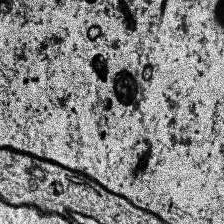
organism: Human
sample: Temporal Lobe